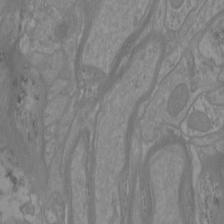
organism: Mouse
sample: Cortical neurons